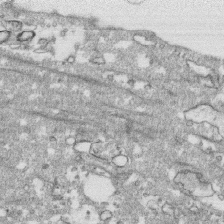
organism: Human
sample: CRL-1474